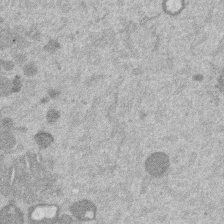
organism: Mouse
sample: Dividing mouse embryo 1 cell stage